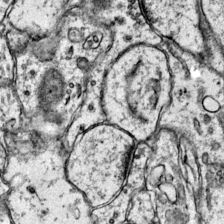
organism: Mouse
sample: Primary visual cortex